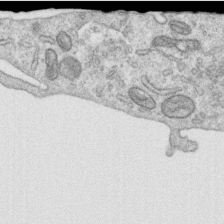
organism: Human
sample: Centriole in RPE cells